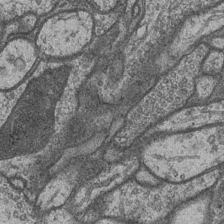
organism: Drosophila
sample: Optic medulla